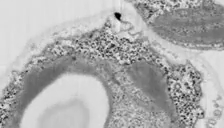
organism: Chlamydomonas reinhardtii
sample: Whole Cell